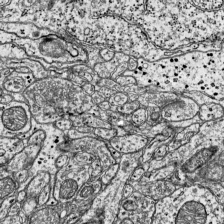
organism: Mouse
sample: Visual Cortex